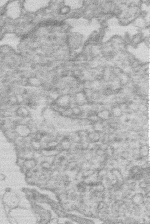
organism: Human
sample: Macrophage cells